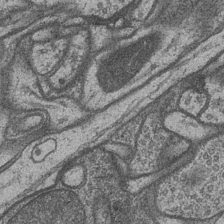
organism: Drosophila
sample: Optic medulla